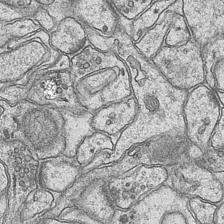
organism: Mouse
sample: CA1 Hippocampus